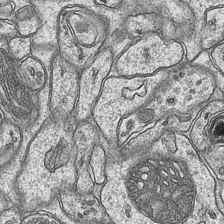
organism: Mouse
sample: CA1 Hippocampus